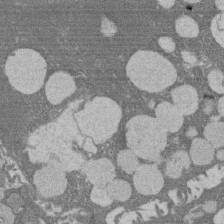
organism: Rat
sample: Salivary granule